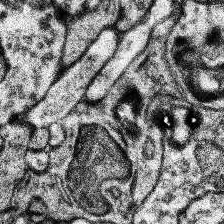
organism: Human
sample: Temporal Lobe